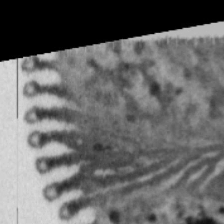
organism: Cable bacterium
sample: Filament